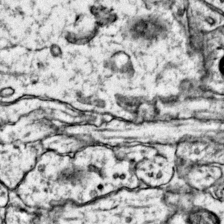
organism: Mouse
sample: Primary visual cortex